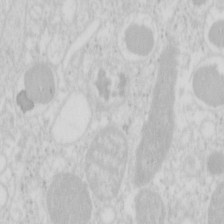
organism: Mouse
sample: Pancreas